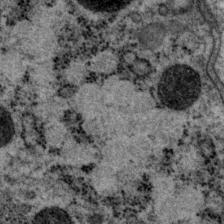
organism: P. pacificus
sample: Pharynx